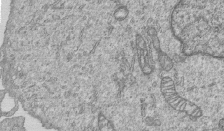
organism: Human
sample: MDA-MB-231 cells